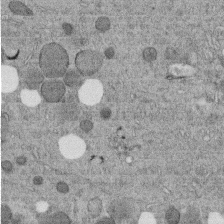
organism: C. elegans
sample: C. elegans embryo early stage